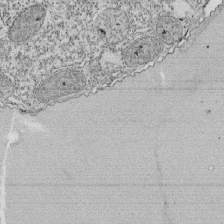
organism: Tetrahymena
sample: Cilia in tetrahymena